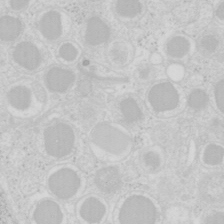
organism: Mouse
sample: Pancreas